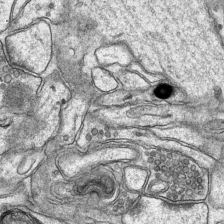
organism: Mouse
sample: CA1 Hippocampus